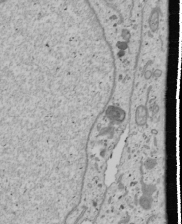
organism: Human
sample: Mitochondria in U2OS cells